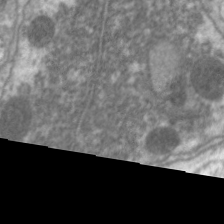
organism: C. elegans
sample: Pharynx